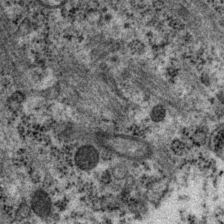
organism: P. pacificus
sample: Pharynx